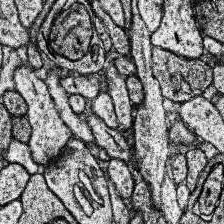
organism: Human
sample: Temporal Lobe